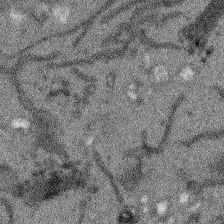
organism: Arabidopsis thaliana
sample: Root tip